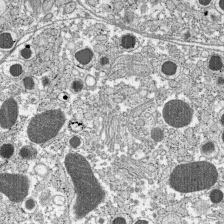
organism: C57BL Mouse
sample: Pancreatic islet